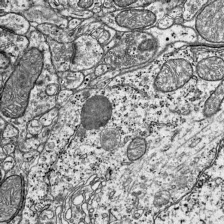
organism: Mouse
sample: Visual Cortex